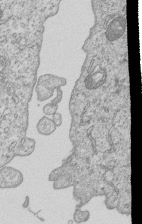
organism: Human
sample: MDA-MB-231 cells